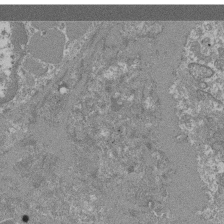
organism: Mouse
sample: Glomerulus